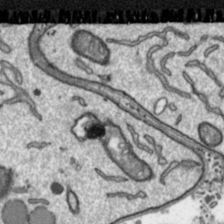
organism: Toxoplasma gondii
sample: Parasites in a vacuole inside a host cell